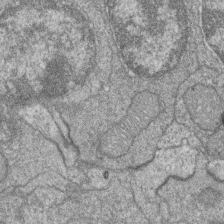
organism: Zebrafish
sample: Cilia; retinal pigment epithelium